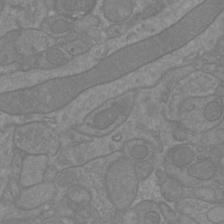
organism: Mouse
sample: Cortical neurons